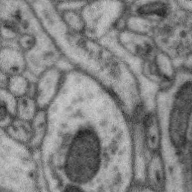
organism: Zebra finch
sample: Brain